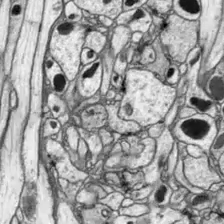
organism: Drosophila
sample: Optic lobe